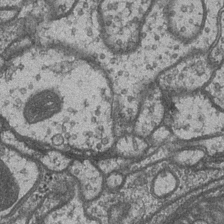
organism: Drosophila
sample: Optic medulla